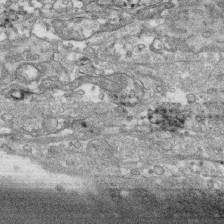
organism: Human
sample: CRL-1474